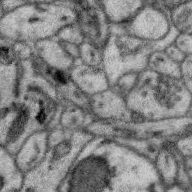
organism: Zebra finch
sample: Brain